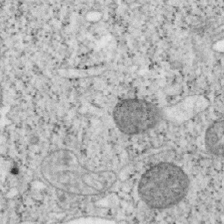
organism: Mouse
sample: OT-I killer T cells with ID8 ovarian cancer cells